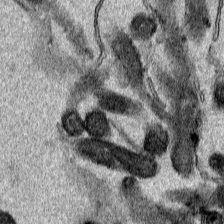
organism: Human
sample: Mitochondria in HCT116 cells